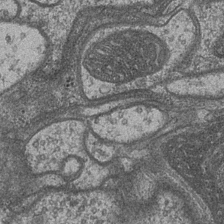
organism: Drosophila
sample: Optic medulla